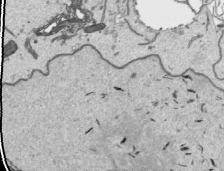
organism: Human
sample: Mitochondria in HCT116 cells